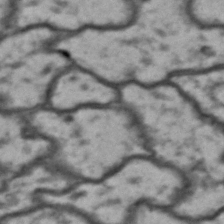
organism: Drosophila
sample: Brain